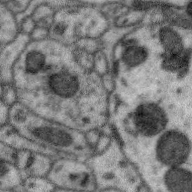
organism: Zebra finch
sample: Brain